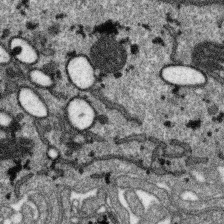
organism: Human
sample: Lung epithelial cells infected with SARS-CoV-2